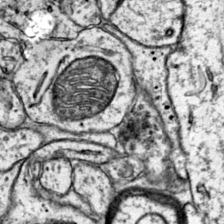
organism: Mouse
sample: Primary visual cortex